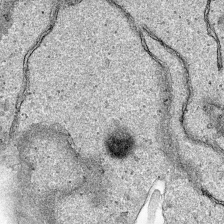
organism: Human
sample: Mitochondria in HCT116 cells